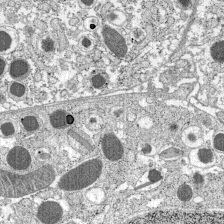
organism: C57BL Mouse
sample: Pancreatic islet